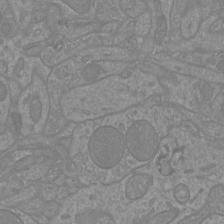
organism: Mouse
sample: Cortical neurons